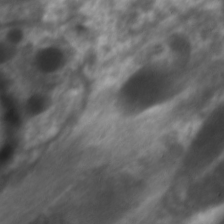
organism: C. elegans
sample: Pharynx